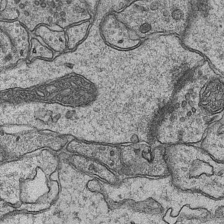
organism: Mouse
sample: CA1 Hippocampus